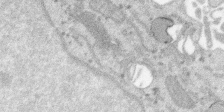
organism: Human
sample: Lung epithelial cells infected with SARS-CoV-2